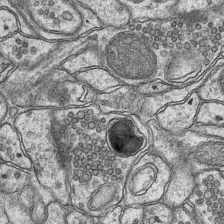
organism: Mouse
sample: CA1 Hippocampus